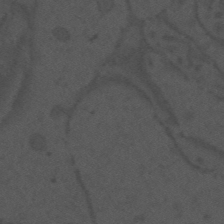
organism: Mouse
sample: Suprachiasmatic nucleus